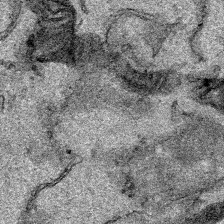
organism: Human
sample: Mitochondria in HCT116 cells